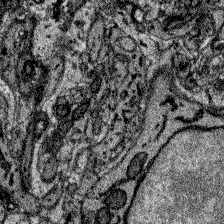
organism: Zebrafish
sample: Larval olfactory bulb